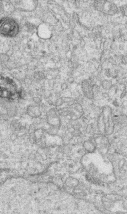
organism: Human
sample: HeLa cell HIV synapse